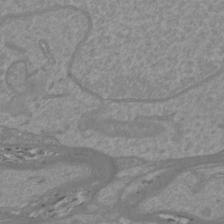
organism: Mouse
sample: Cortical neurons